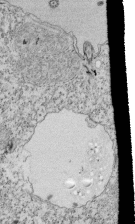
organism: Tetrahymena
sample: Cilia in tetrahymena